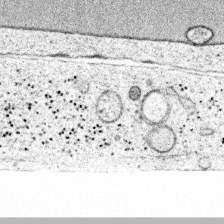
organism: Human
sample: HeLa cells